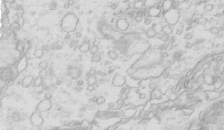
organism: Mouse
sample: Multiciliated cells